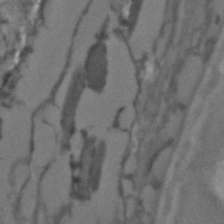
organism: C. elegans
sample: C. elegans embryo